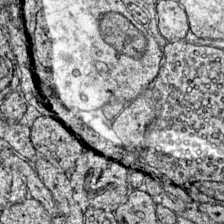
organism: Mouse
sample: Primary visual cortex